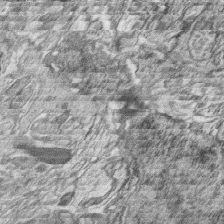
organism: Zebrafish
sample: synaptic ribbons in rod cells and cone cells